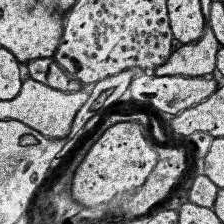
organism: Human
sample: Temporal Lobe